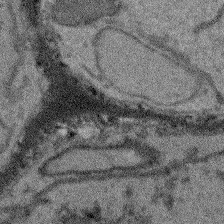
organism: Arabidopsis thaliana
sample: Root tip